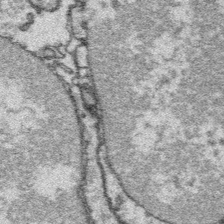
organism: Platynereis dumerilii